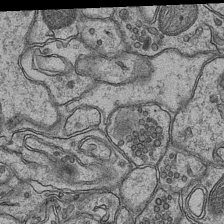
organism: Mouse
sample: CA1 Hippocampus